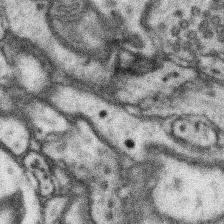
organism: Mouse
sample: Somatosensory cortex neuropil